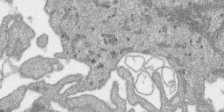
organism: Human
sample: Lung epithelial cells infected with SARS-CoV-2